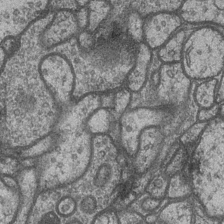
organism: Drosophila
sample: Optic medulla